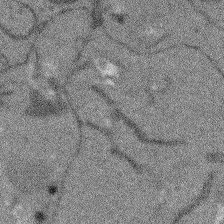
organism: Arabidopsis thaliana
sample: Root tip